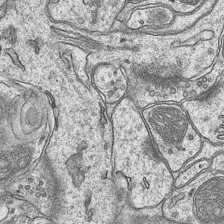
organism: Mouse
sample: CA1 Hippocampus